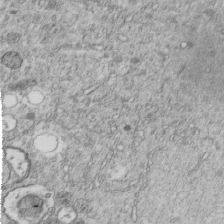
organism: C. elegans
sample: C. elegans embryo early stage